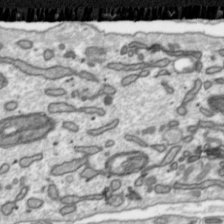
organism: Toxoplasma gondii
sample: Parasites in a vacuole inside a host cell